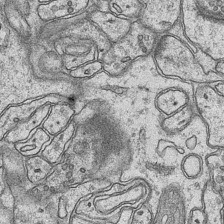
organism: Mouse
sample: CA1 Hippocampus